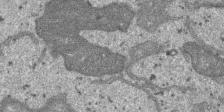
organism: Human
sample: Lung epithelial cells infected with SARS-CoV-2